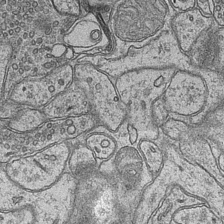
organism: Mouse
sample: CA1 Hippocampus